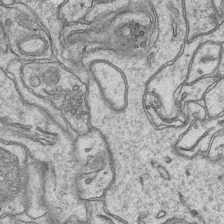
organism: Mouse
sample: CA1 Hippocampus